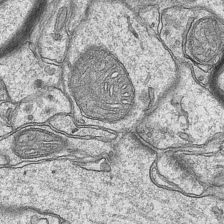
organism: Mouse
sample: CA1 Hippocampus